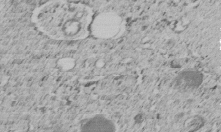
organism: C. elegans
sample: C. elegans embryo early stage